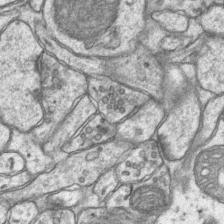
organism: Mouse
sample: CA1 Hippocampus